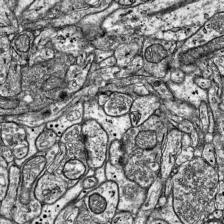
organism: Mouse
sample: Visual Cortex